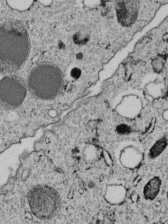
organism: C. elegans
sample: C. elegans embryo early stage